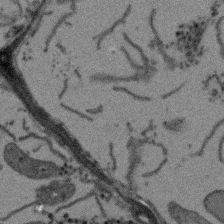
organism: Arabidopsis thaliana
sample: Root tip